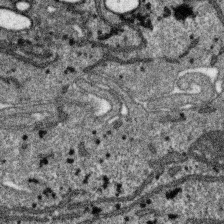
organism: Human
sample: Lung epithelial cells infected with SARS-CoV-2